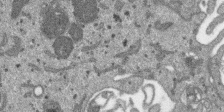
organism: Human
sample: Lung epithelial cells infected with SARS-CoV-2